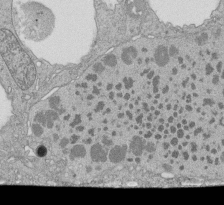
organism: Tetrahymena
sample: Cilia in tetrahymena